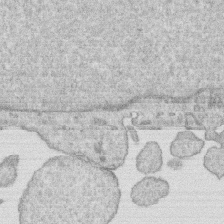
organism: Human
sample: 1205lu cells